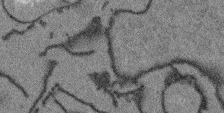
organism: Arabidopsis thaliana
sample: Root tip